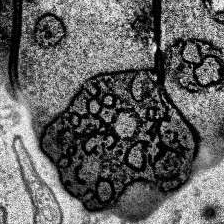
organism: Human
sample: Temporal Lobe